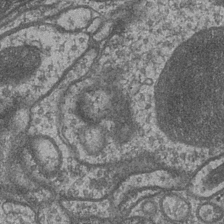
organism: Drosophila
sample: Optic medulla